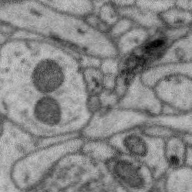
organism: Zebra finch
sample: Brain